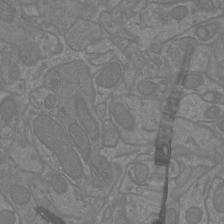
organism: Mouse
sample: Cortical neurons